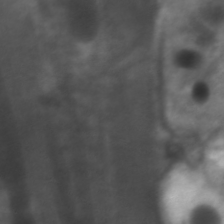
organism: C. elegans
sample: Pharynx